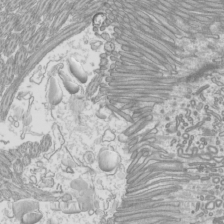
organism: Mouse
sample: Cilia; mouse epididymis